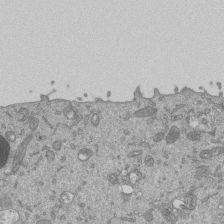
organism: Mouse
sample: ED-1 cell nuclei; centrioles